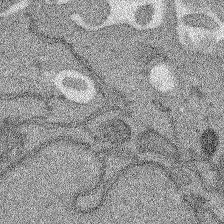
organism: Human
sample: HeLa cells